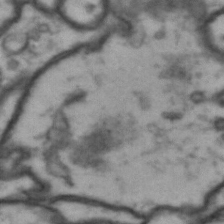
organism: Drosophila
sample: Brain